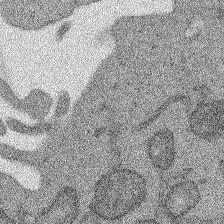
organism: Human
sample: HeLa cells